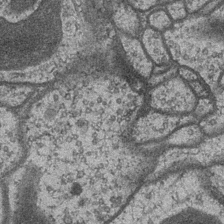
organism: Drosophila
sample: Optic medulla